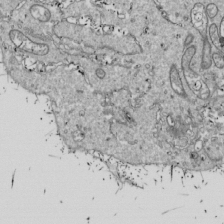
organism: Drosophila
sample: Cell division; meiosis; drosophila spermatocytes